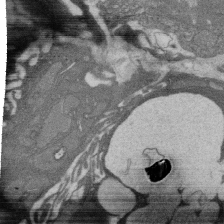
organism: Rat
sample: Salivary granule